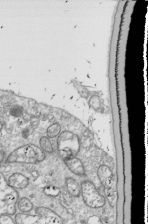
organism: Drosophila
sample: Cell division; meiosis; drosophila spermatocytes